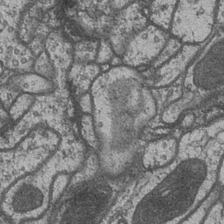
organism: Drosophila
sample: Optic medulla